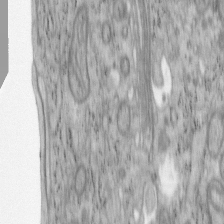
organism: Human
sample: HeLa cells